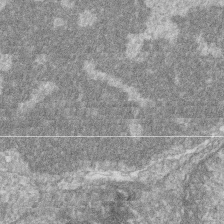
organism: Zebrafish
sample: Cilia; retinal pigment epithelium